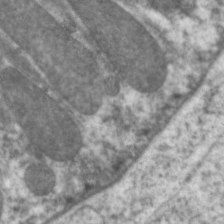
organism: C. elegans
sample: Pharynx